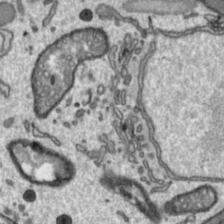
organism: Toxoplasma gondii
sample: Parasites in a vacuole inside a host cell